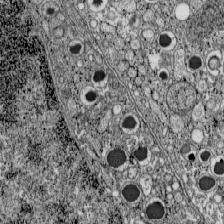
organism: C57BL Mouse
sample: Pancreatic islet